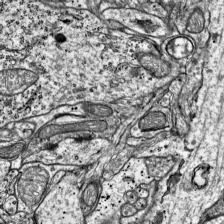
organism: Mouse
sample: Visual Cortex